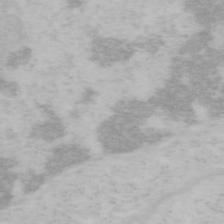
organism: Mouse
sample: OT-I killer T cells with ID8 ovarian cancer cells